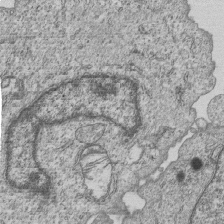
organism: Human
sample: MDA-MB-231 cells